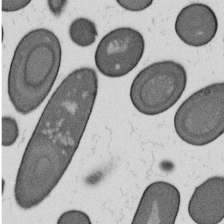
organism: B. subtilis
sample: Bacterial spore